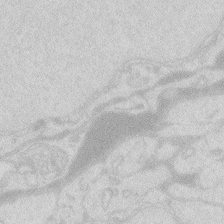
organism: Zebrafish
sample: Macrophage